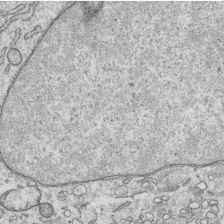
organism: Human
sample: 1205lu cells